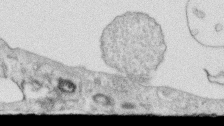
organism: Human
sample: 1205lu cells